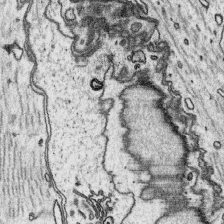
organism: Platynereis dumerilii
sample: Parapodia